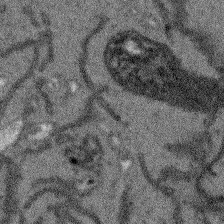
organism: Arabidopsis thaliana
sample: Root tip